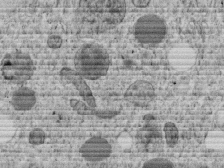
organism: C. elegans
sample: C. elegans embryo early stage